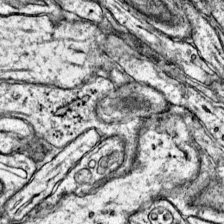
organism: Mouse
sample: Primary visual cortex